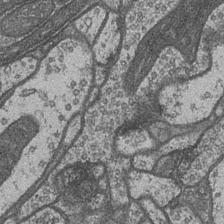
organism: Drosophila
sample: Optic medulla